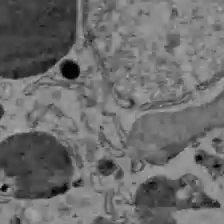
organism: C57BL Mouse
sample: Liver